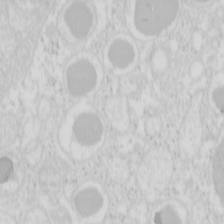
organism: Mouse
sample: Pancreas